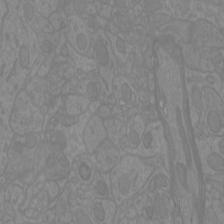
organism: Mouse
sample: Cortical neurons